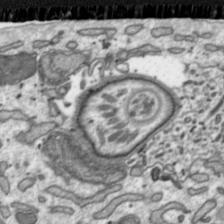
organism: Toxoplasma gondii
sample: Parasites in a vacuole inside a host cell